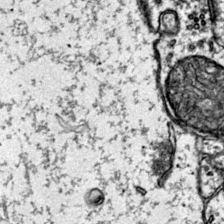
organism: Mouse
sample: Primary visual cortex